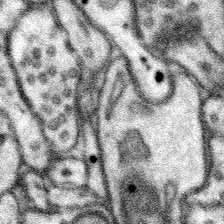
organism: Mouse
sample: Somatosensory cortex neuropil